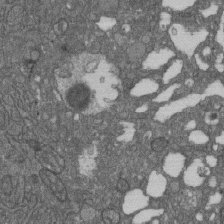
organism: Drosophila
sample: Nephrocyte